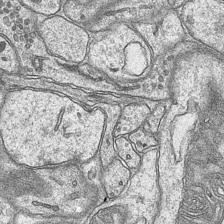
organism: Mouse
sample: CA1 Hippocampus